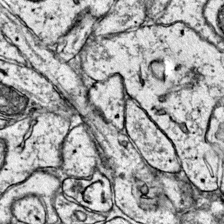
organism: Mouse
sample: Primary visual cortex